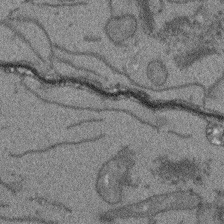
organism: Arabidopsis thaliana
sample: Root tip